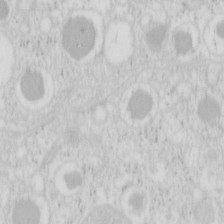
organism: Mouse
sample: Pancreas